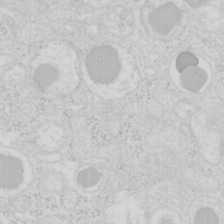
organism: Mouse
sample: Pancreas